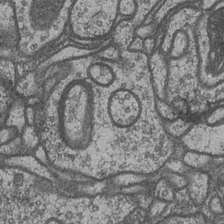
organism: Drosophila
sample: Optic medulla